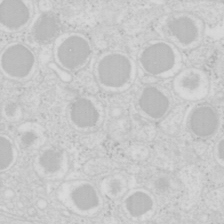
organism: Mouse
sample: Pancreas